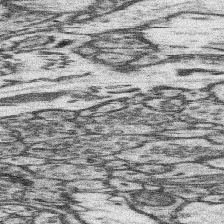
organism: Mouse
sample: Somatosensory cortex neuropil